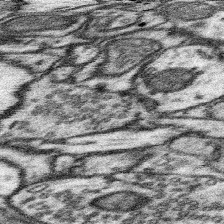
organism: Mouse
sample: Somatosensory cortex neuropil